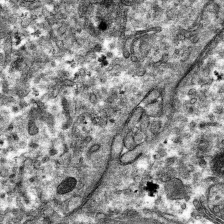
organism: Mouse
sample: Mouse hepatocytes